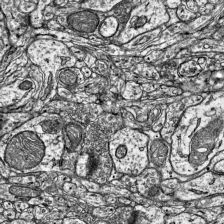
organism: Mouse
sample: Visual Cortex